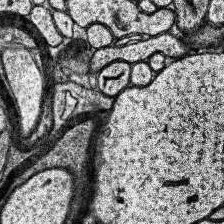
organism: Human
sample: Temporal Lobe